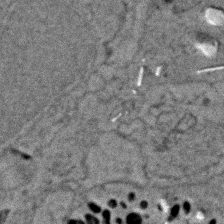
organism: Zebrafish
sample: Zebrafish embryo